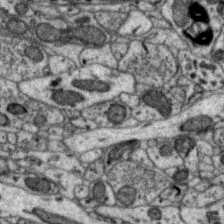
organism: Zebra finch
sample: Brain